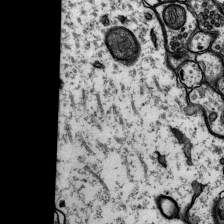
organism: Rat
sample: Hippocampus